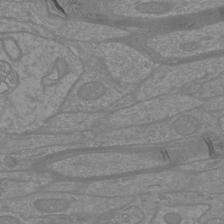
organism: Mouse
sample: Cortical neurons